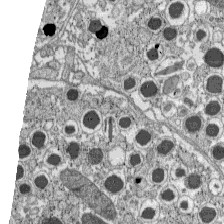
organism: C57BL Mouse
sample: Pancreatic islet